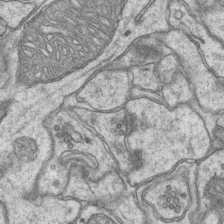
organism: Mouse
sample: CA1 Hippocampus